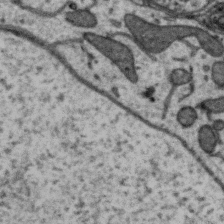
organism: Zebra finch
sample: Brain